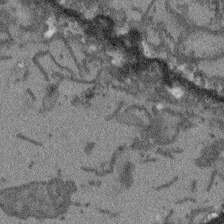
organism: Arabidopsis thaliana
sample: Root tip